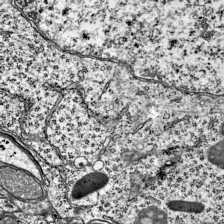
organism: Mouse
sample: Visual Cortex